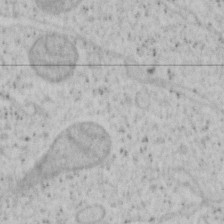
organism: Human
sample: HeLa cells